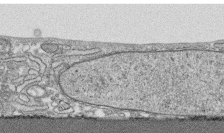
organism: Human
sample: CRL-1474